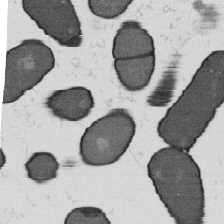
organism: B. subtilis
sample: Bacterial spore